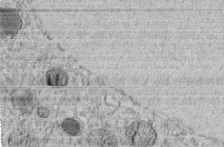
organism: C. elegans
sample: C. elegans embryo early stage